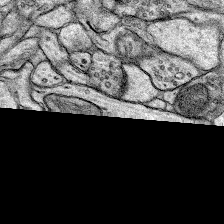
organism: Rat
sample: Hippocampus